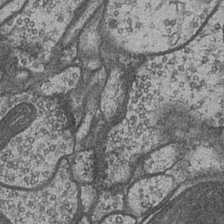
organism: Drosophila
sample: Optic medulla